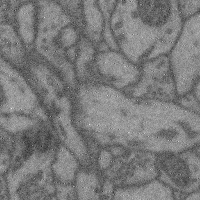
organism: Mouse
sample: Cerebral cortex